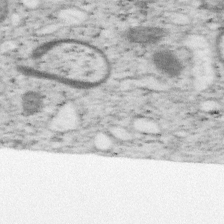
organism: Mouse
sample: OT-I killer T cells with ID8 ovarian cancer cells